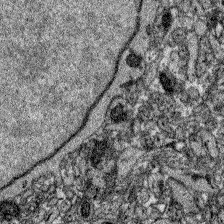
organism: Zebrafish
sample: Larval olfactory bulb